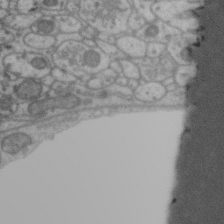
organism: Zebra finch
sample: Brain